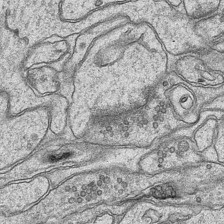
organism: Mouse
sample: CA1 Hippocampus